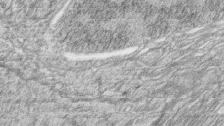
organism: Zebrafish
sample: synaptic ribbons in rod cells and cone cells